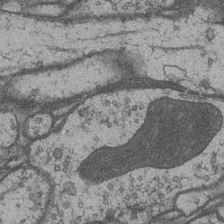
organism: Drosophila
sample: Optic medulla